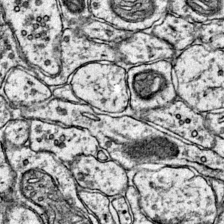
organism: Mouse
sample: Primary visual cortex